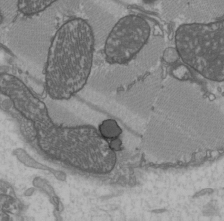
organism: C57BL Mouse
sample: Heart